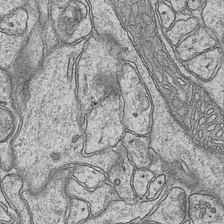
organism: Mouse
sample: CA1 Hippocampus